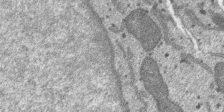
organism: Human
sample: Lung epithelial cells infected with SARS-CoV-2